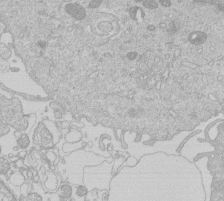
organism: Human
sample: Macrophage cells